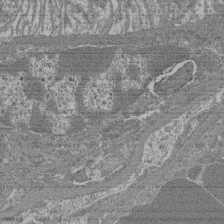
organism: Mouse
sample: Glomerulus